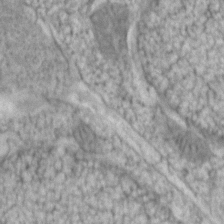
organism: Zebrafish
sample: Zebrafish embryo